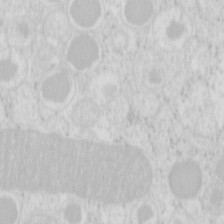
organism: Mouse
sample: Pancreas